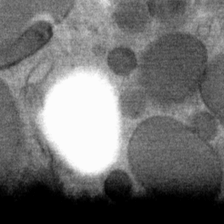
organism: Mouse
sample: Mouse Salivary gland